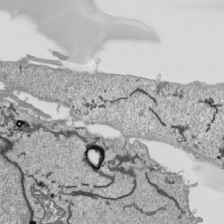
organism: Human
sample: Mitochondria in HCT116 cells